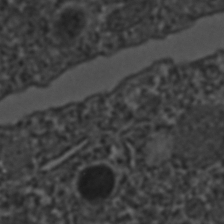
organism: C. elegans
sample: C. elegans embryo